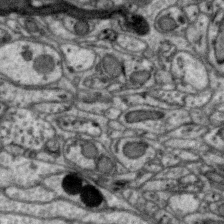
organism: Zebra finch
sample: Brain